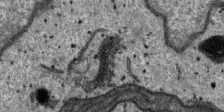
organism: Human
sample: Lung epithelial cells, uninfected (mock) control